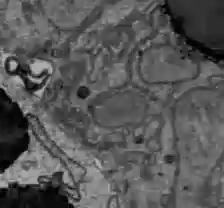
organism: C57BL Mouse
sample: Liver